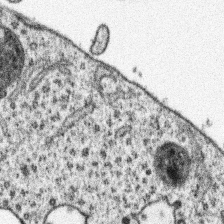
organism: Human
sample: HeLa cells